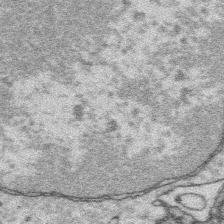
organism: Platynereis dumerilii